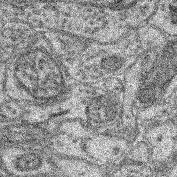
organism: Mouse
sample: Retina